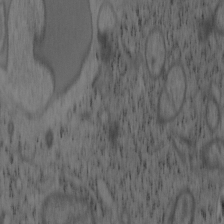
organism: Human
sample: HeLa cells